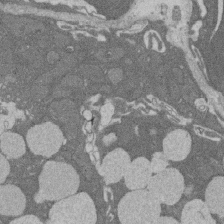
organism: Rat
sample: Salivary granule